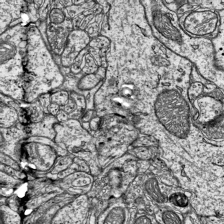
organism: Mouse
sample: Visual Cortex